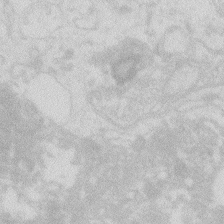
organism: Zebrafish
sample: Macrophage